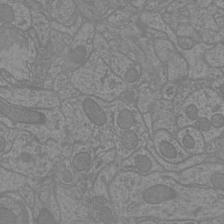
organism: Mouse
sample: Cortical neurons